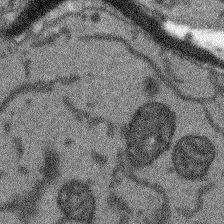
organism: Arabidopsis thaliana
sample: Root tip